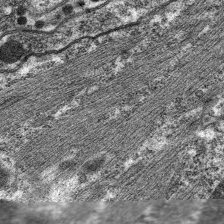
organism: C. elegans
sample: Pharynx